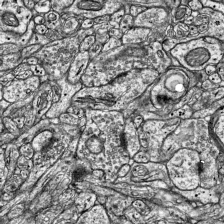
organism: Mouse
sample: Visual Cortex